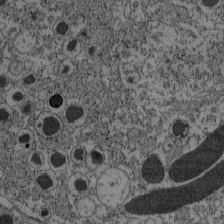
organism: C57BL Mouse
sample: Pancreatic islet